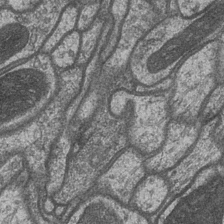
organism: Drosophila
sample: Optic medulla